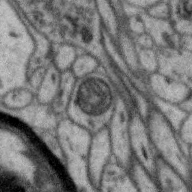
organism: Zebra finch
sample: Brain